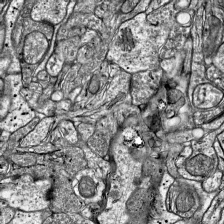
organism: Mouse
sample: Visual Cortex